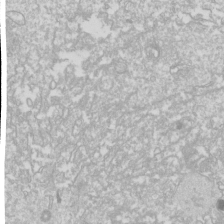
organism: Drosophila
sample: Cell division; meiosis; drosophila spermatocytes